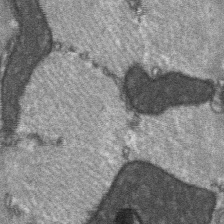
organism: C57BL Mouse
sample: Soleus